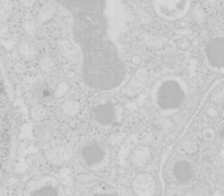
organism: Mouse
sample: Pancreas